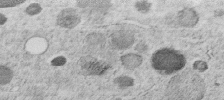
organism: C. elegans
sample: C. elegans embryo early stage